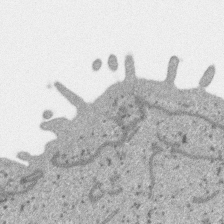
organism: Human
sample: Lung epithelial cells infected with SARS-CoV-2